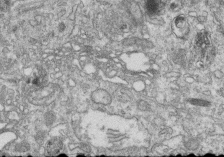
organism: Human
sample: HeLa cell HIV synapse